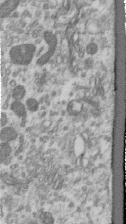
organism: Human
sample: Centriole in RPE cells